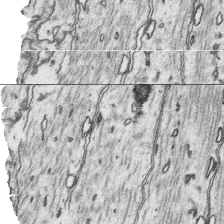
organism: Platynereis dumerilii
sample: Parapodia